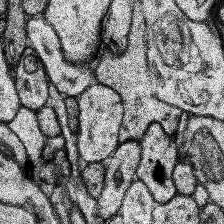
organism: Human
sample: Temporal Lobe